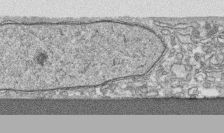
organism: Human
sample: CRL-1474